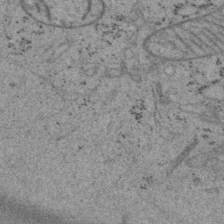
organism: Human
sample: HeLa cells